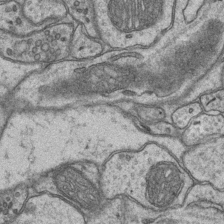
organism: Mouse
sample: CA1 Hippocampus